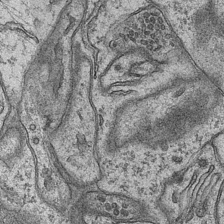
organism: Mouse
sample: CA1 Hippocampus